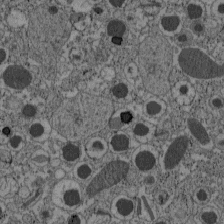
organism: C57BL Mouse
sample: Pancreatic islet